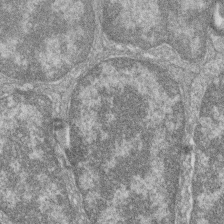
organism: Zebrafish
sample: Cilia; retinal pigment epithelium